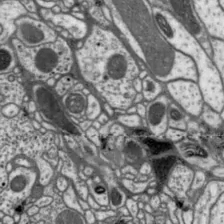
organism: Drosophila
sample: Protocerebral bridge